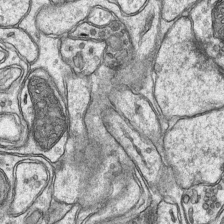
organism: Mouse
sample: CA1 Hippocampus